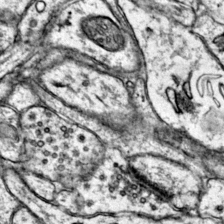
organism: Mouse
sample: Primary visual cortex